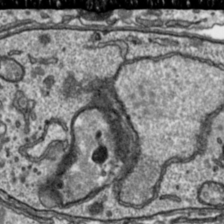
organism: Toxoplasma gondii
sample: Parasites in a vacuole inside a host cell